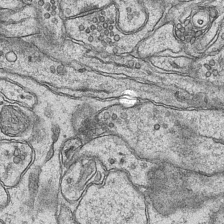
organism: Mouse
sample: CA1 Hippocampus